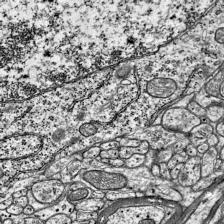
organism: Mouse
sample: Visual Cortex